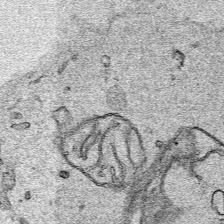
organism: Human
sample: Mitochondria in HCT116 cells